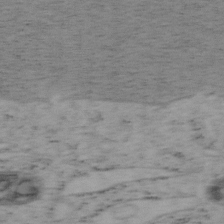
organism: Mouse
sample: OT-I killer T cells with ID8 ovarian cancer cells